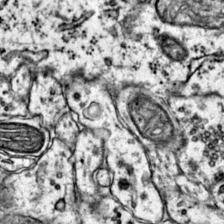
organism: Mouse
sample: Primary visual cortex